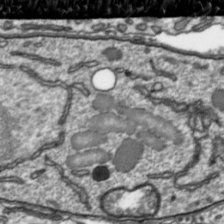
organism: Toxoplasma gondii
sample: Parasites in a vacuole inside a host cell